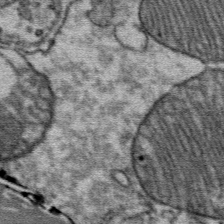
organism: Mouse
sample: Mouse Salivary gland